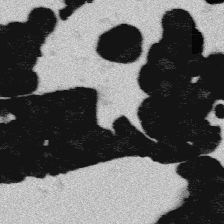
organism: Platynereis dumerilii